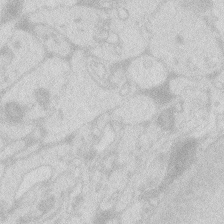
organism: Zebrafish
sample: Macrophage